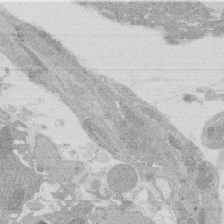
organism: Rat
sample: Salivary granule